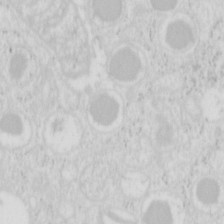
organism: Mouse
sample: Pancreas